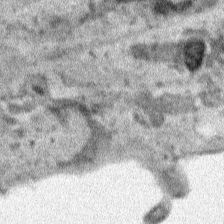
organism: Human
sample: Mitochondria in HCT116 cells